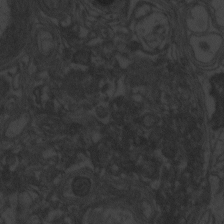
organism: Zebrafish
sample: Macrophage infected with Toxoplasma gondii